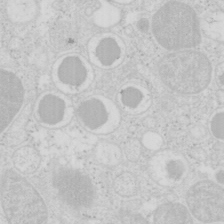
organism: Mouse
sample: Pancreas